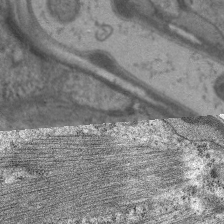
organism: C. elegans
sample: Pharynx